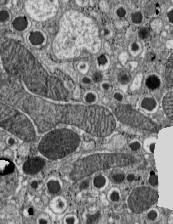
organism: C57BL Mouse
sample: Pancreatic islet